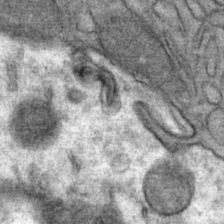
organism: Mouse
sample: Mouse Salivary gland